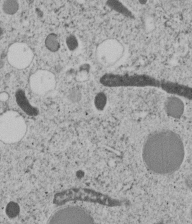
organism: C. elegans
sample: C. elegans embryo early stage